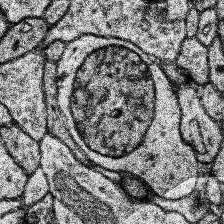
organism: Human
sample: Temporal Lobe